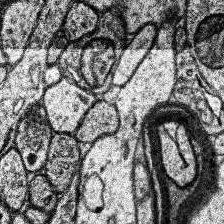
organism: Human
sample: Temporal Lobe